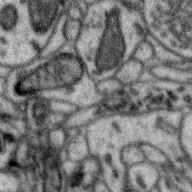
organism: Zebra finch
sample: Brain